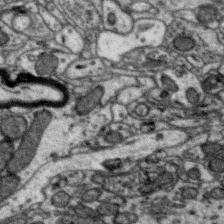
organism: Zebra finch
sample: Brain